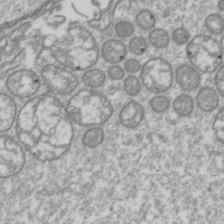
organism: Drosophila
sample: Cell division; meiosis; drosophila spermatocytes